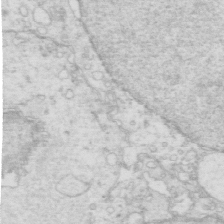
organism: Mouse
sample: Multiciliated cells